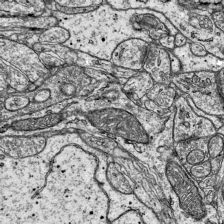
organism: Mouse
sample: Visual Cortex